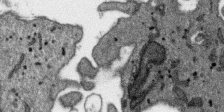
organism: Human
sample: Lung epithelial cells, uninfected (mock) control